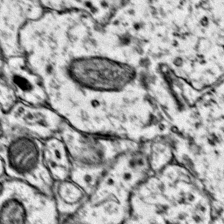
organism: Mouse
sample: Primary visual cortex